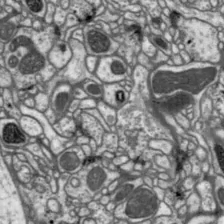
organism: Drosophila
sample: Protocerebral bridge